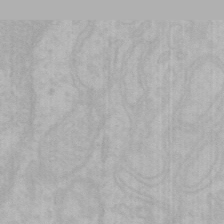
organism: Mouse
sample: Choroid plexus